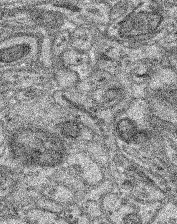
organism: Mouse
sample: Retina